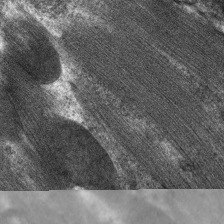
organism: C. elegans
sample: Pharynx